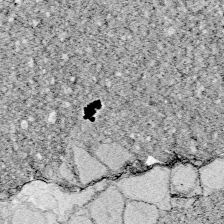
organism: Zebrafish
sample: Whole-Brain